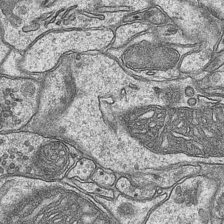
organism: Mouse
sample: CA1 Hippocampus